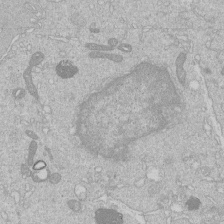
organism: Human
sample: Macrophage cells